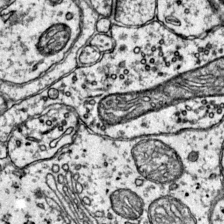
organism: Mouse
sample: Primary visual cortex